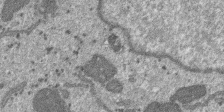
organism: Human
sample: Lung epithelial cells infected with SARS-CoV-2